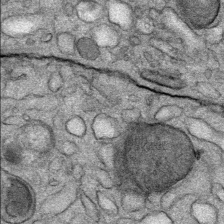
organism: Mouse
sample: Mouse Salivary gland